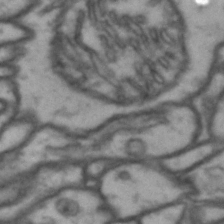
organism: Drosophila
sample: Brain